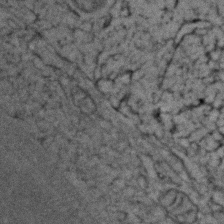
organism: Zebrafish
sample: Zebrafish embryo